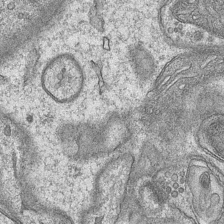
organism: Mouse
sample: CA1 Hippocampus